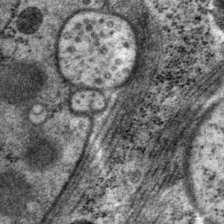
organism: P. pacificus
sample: Pharynx